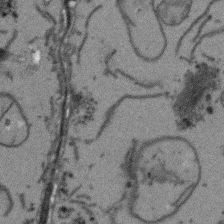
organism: Arabidopsis thaliana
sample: Root tip